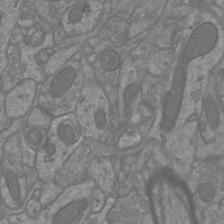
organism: Mouse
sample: Cortical neurons